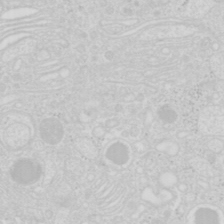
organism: Mouse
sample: Pancreas